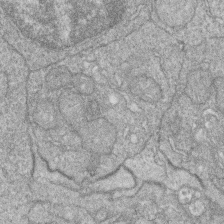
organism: Zebrafish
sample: Cilia; retinal pigment epithelium